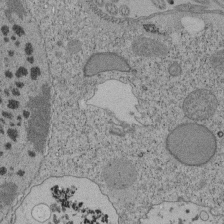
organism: Tetrahymena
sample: Cilia in tetrahymena